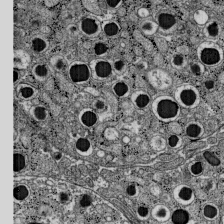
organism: C57BL Mouse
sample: Pancreatic islet